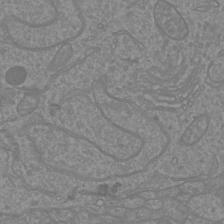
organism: Mouse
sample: Cortical neurons